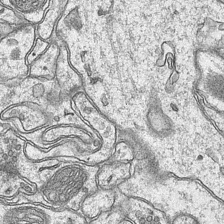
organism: Mouse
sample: CA1 Hippocampus